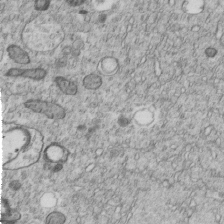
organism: C. elegans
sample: C. elegans embryo early stage